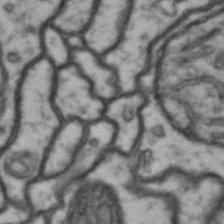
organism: Drosophila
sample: Brain